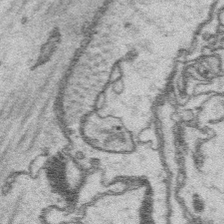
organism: Platynereis dumerilii